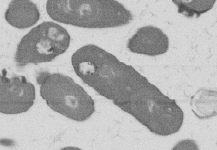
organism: B. subtilis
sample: Bacterial spore